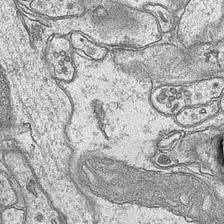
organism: Mouse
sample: CA1 Hippocampus